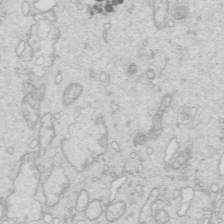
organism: Mouse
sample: Multiciliated cells